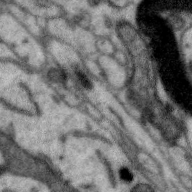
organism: Zebra finch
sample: Brain